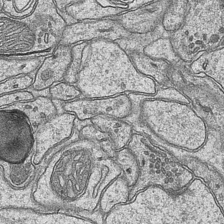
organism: Mouse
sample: CA1 Hippocampus